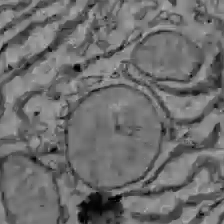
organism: C57BL Mouse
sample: Liver